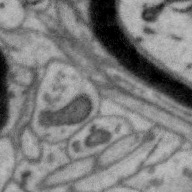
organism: Zebra finch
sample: Brain